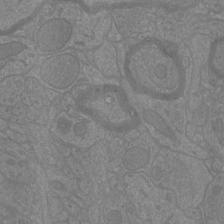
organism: Mouse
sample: Cortical neurons